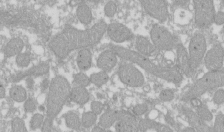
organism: Xenopus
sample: Cilia; centrioles in frog embryo cells